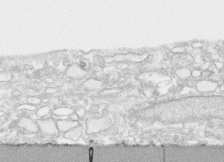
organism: Human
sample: CRL-1474